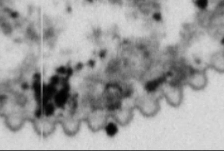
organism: Cable bacterium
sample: Filament